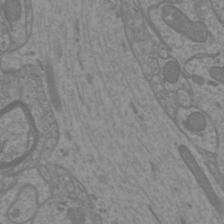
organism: Mouse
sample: Cortical neurons